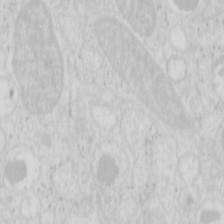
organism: Mouse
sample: Pancreas